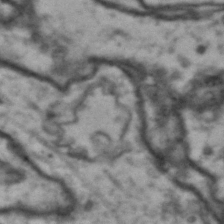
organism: Drosophila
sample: Brain